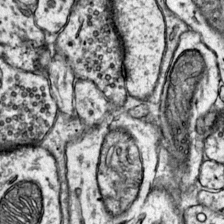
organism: Mouse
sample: Primary visual cortex